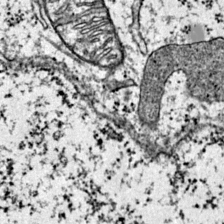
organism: Mouse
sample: Primary visual cortex